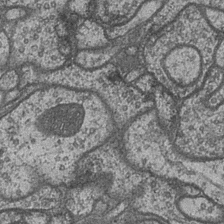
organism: Drosophila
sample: Optic medulla